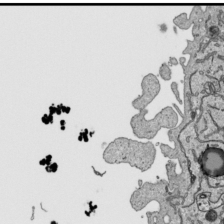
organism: Human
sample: Mitochondria in HCT116 cells